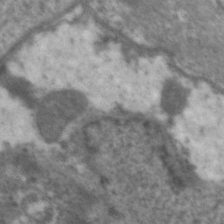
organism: C. elegans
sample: Pharynx